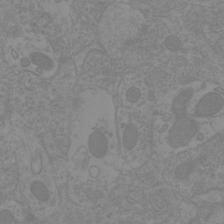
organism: Mouse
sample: Cortical neurons